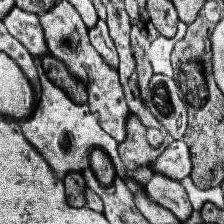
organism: Human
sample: Temporal Lobe